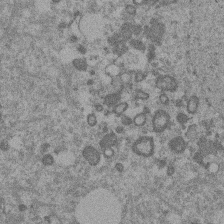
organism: Mouse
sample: Dividing mouse embryo 1 cell stage